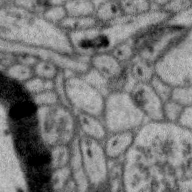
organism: Zebra finch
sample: Brain